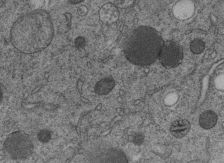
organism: C. elegans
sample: C. elegans embryo early stage